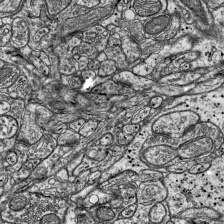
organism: Mouse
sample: Visual Cortex